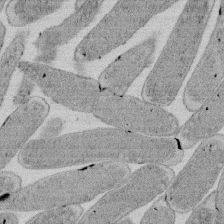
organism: E. coli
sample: Bacterial nucleoid